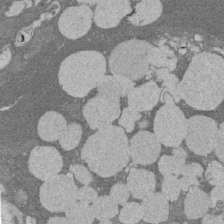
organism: Rat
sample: Salivary granule